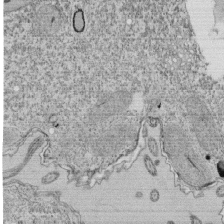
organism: Tetrahymena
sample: Cilia in tetrahymena